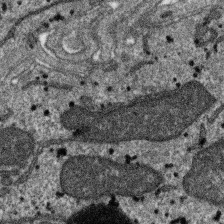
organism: Human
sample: Lung epithelial cells infected with SARS-CoV-2